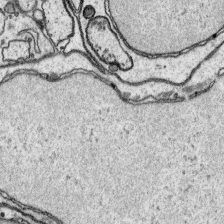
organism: Platynereis dumerilii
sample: Parapodia